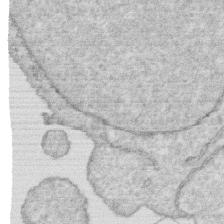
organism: Human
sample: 1205lu cells